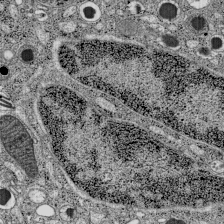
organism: C57BL Mouse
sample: Pancreatic islet